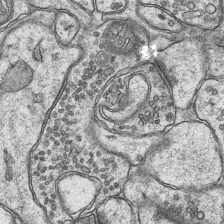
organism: Mouse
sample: CA1 Hippocampus